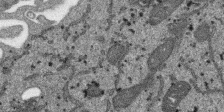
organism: Human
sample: Lung epithelial cells infected with SARS-CoV-2